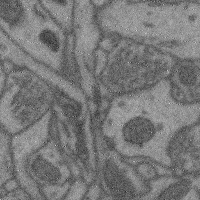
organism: Mouse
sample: Cerebral cortex